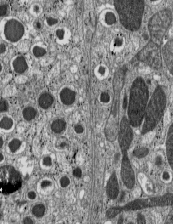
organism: C57BL Mouse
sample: Pancreatic islet